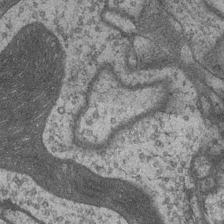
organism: Drosophila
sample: Optic medulla